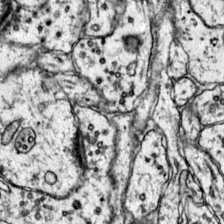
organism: Mouse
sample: Primary visual cortex